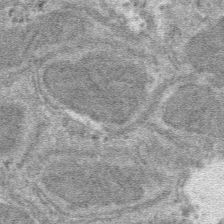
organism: Mouse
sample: Mouse hepatocytes